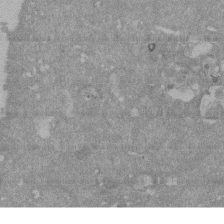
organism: Mouse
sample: ED-1 cell nuclei; centrioles